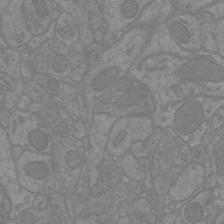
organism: Mouse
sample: Cortical neurons